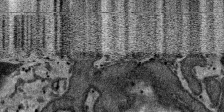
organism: Human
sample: Lung epithelial cells, uninfected (mock) control